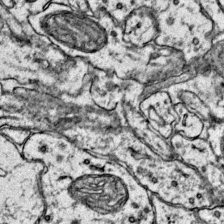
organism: Mouse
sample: Primary visual cortex